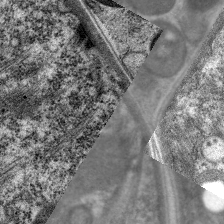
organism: C. elegans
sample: Pharynx